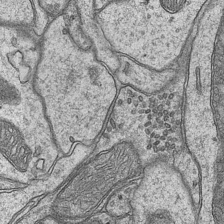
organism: Mouse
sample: CA1 Hippocampus